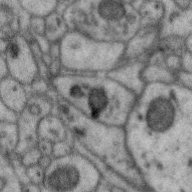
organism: Zebra finch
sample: Brain